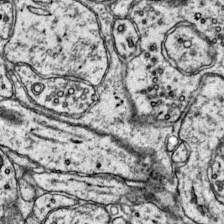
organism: Mouse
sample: Primary visual cortex